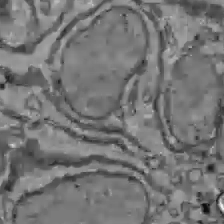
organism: C57BL Mouse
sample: Liver